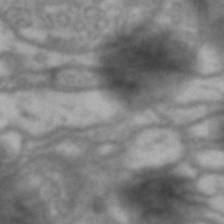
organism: Drosophila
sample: Brain